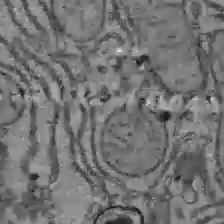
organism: C57BL Mouse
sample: Liver